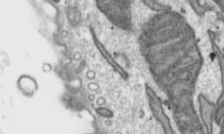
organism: Toxoplasma gondii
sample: Parasites in a vacuole inside a host cell